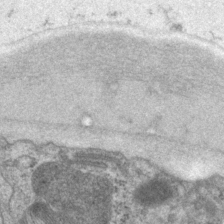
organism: P. pacificus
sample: Pharynx